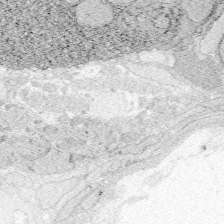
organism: Zebrafish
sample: Whole-Brain